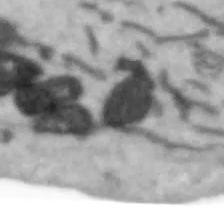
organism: Human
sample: SH-SY5Y cells